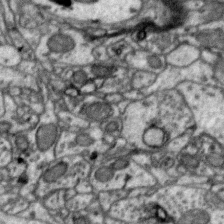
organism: Zebra finch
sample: Brain